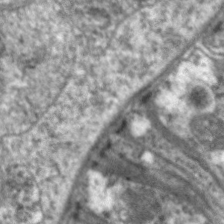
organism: C. elegans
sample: Pharynx